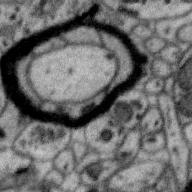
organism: Zebra finch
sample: Brain